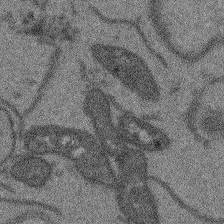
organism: Arabidopsis thaliana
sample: Root tip